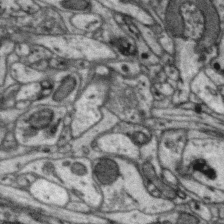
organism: Zebra finch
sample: Brain